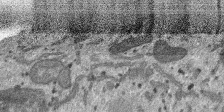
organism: Human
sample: Lung epithelial cells infected with SARS-CoV-2